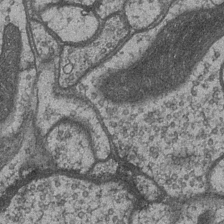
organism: Drosophila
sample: Optic medulla